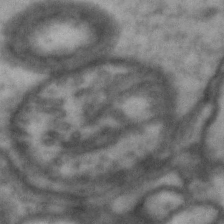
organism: Drosophila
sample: Brain